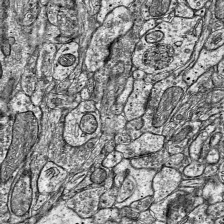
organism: Mouse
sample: Visual Cortex